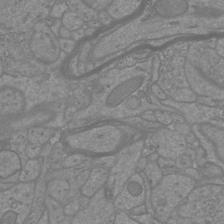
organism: Mouse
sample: Cortical neurons